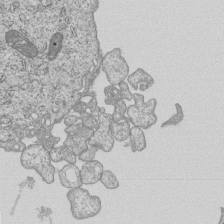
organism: Human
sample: MDA-MB-231 cells